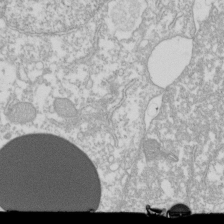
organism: Xenopus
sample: Cilia; centrioles in frog embryo cells